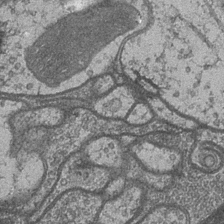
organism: Drosophila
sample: Optic medulla